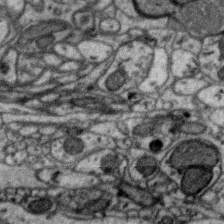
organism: Zebra finch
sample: Brain